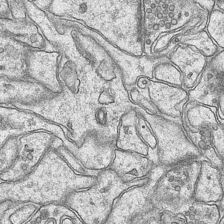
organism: Mouse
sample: CA1 Hippocampus